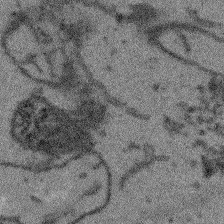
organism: Arabidopsis thaliana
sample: Root tip